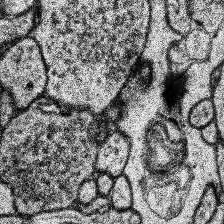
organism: Human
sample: Temporal Lobe